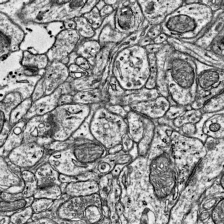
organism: Mouse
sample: Visual Cortex